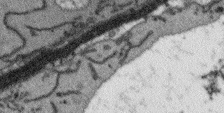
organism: Arabidopsis thaliana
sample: Root tip